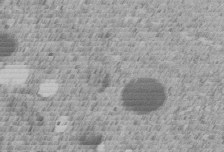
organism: C. elegans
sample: C. elegans embryo early stage